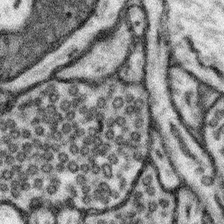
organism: Mouse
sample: Somatosensory cortex neuropil